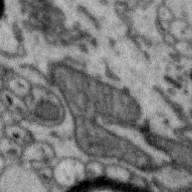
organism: Zebra finch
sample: Brain